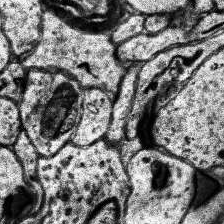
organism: Human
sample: Temporal Lobe